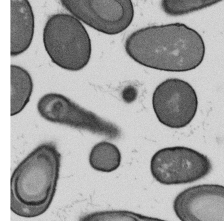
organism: B. subtilis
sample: Bacterial spore